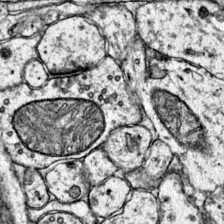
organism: Mouse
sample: Primary visual cortex